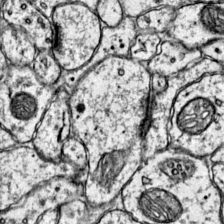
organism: Mouse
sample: Primary visual cortex